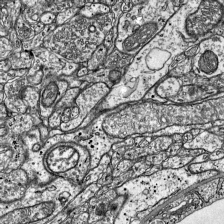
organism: Mouse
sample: Visual Cortex